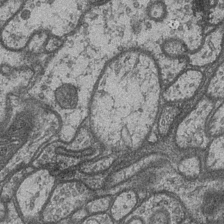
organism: Drosophila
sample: Optic medulla